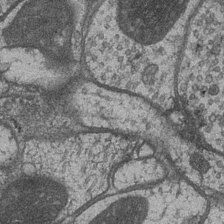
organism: Drosophila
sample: Optic medulla